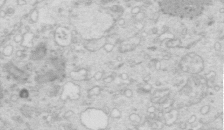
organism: Mouse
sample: Multiciliated cells